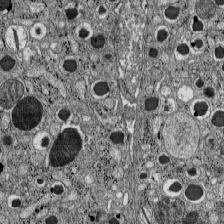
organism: C57BL Mouse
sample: Pancreatic islet